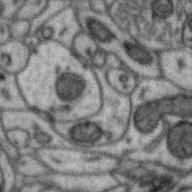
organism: Zebra finch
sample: Brain